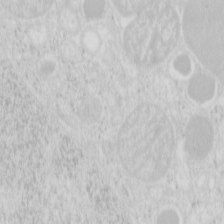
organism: Mouse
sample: Pancreas